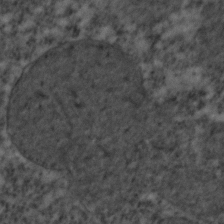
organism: C. elegans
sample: C. elegans embryo